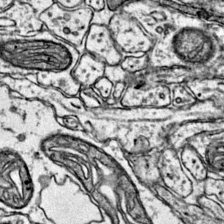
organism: Mouse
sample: Primary visual cortex